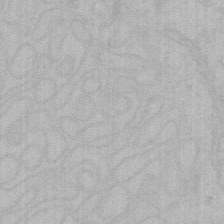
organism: Mouse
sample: Choroid plexus